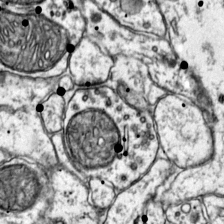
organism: Mouse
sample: Primary visual cortex